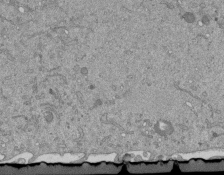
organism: Mouse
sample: ED-1 cell nuclei; centrioles